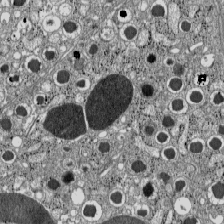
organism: C57BL Mouse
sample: Pancreatic islet